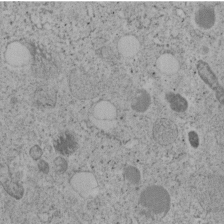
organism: C. elegans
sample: C. elegans embryo early stage